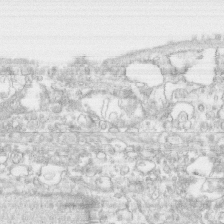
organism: Human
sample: CRL-1474